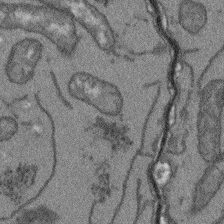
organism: Arabidopsis thaliana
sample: Root tip